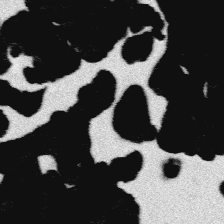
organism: Platynereis dumerilii